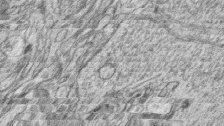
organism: Zebrafish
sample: synaptic ribbons in rod cells and cone cells